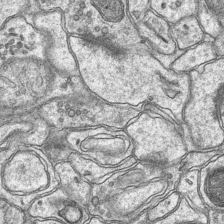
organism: Mouse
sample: CA1 Hippocampus